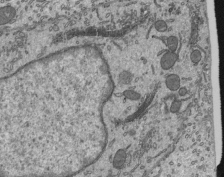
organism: Mouse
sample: Mouse epididymis efferent ductule cilia